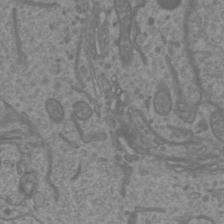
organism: Mouse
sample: Cortical neurons